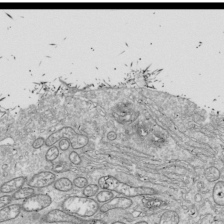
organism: Drosophila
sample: Cell division; meiosis; drosophila spermatocytes